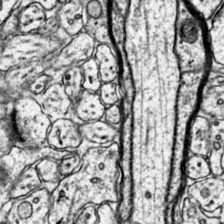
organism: Mouse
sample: Primary visual cortex